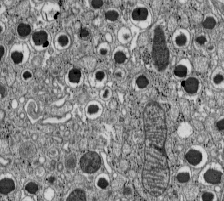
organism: C57BL Mouse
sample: Pancreatic islet